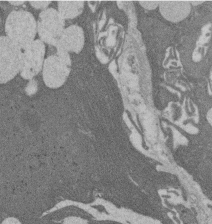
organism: Rat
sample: Salivary granule